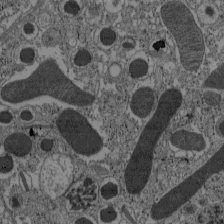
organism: C57BL Mouse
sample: Pancreatic islet